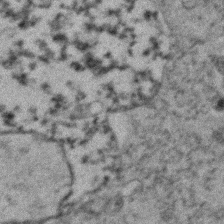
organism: Human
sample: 1205lu cells